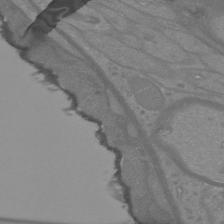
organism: Mouse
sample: Cortical neurons